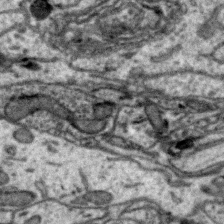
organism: Zebra finch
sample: Brain